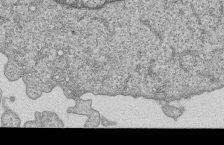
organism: Human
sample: MDA-MB-231 cells